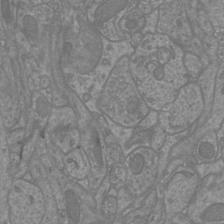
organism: Mouse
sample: Cortical neurons